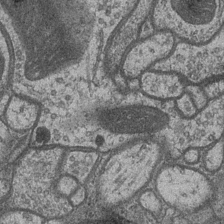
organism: Drosophila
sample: Optic medulla